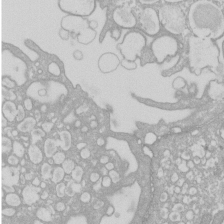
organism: Xenopus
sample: Cilia; centrioles in frog embryo cells